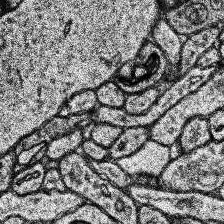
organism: Human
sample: Temporal Lobe